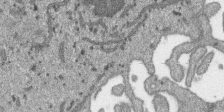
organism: Human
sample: Lung epithelial cells infected with SARS-CoV-2